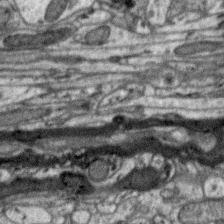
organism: Zebra finch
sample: Brain